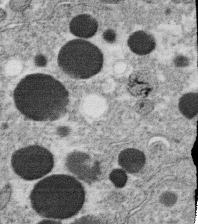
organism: C. elegans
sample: C. elegans oocyte; sperm cells